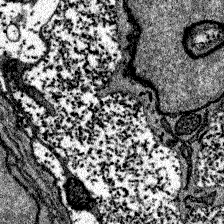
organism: Zebrafish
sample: Larval olfactory bulb